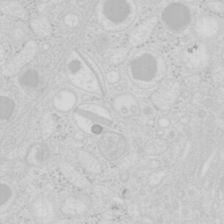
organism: Mouse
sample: Pancreas